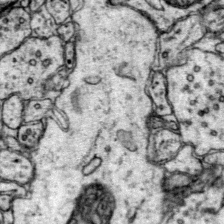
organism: Mouse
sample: Primary visual cortex